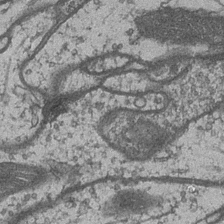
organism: Drosophila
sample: Optic medulla